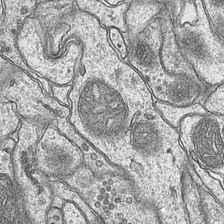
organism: Mouse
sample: CA1 Hippocampus